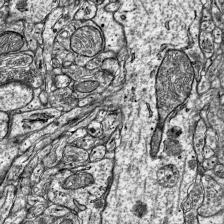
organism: Mouse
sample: Visual Cortex